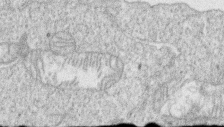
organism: Human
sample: HeLa cell HIV synapse